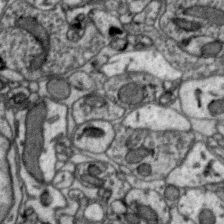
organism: Zebra finch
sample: Brain